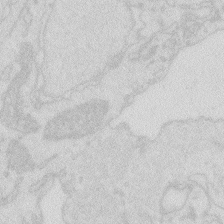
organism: Zebrafish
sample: Macrophage